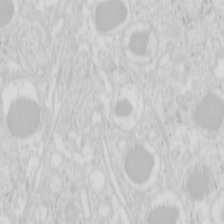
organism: Mouse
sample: Pancreas